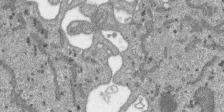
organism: Human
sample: Lung epithelial cells infected with SARS-CoV-2